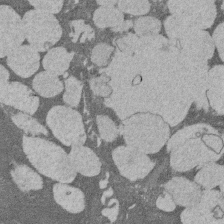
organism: Rat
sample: Salivary granule